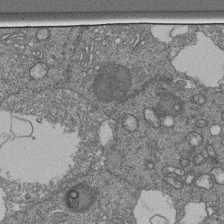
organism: Human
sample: Retinal organoid Rod and Cone cells